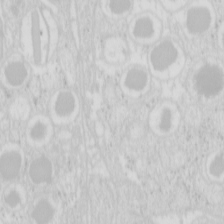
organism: Mouse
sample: Pancreas